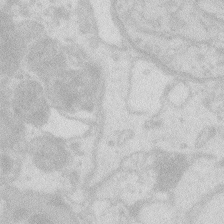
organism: Zebrafish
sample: Macrophage